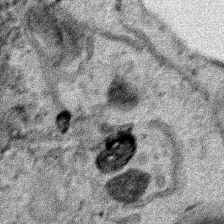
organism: Human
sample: Mitochondria in HCT116 cells